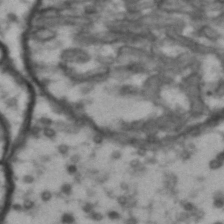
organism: Drosophila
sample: Brain